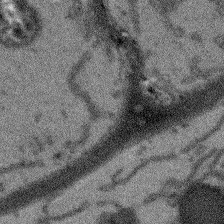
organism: Arabidopsis thaliana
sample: Root tip